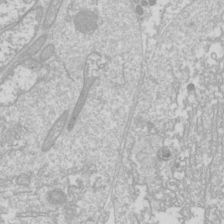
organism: Drosophila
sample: Cell division; meiosis; drosophila spermatocytes